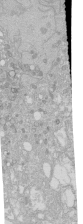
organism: Human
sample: Caco-2 cells